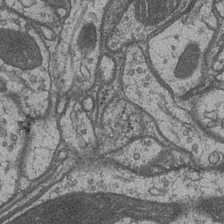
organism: Drosophila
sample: Optic medulla